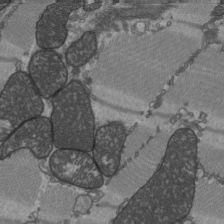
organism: C57BL Mouse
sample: Heart